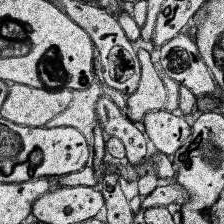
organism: Human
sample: Temporal Lobe